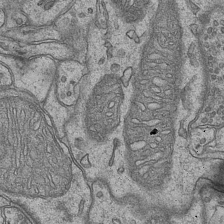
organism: Mouse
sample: CA1 Hippocampus